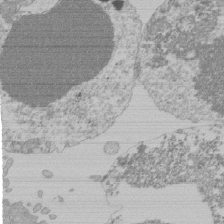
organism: Mouse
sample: Activated Pmel transgenic CD8+ T Cells